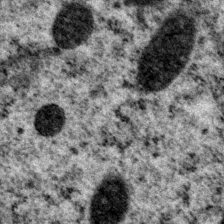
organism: P. pacificus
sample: Pharynx